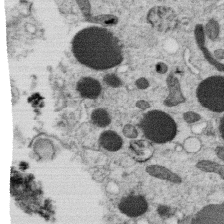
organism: C. elegans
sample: C. elegans oocyte; sperm cells